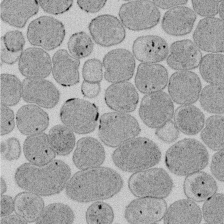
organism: E. coli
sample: Bacterial nucleoid